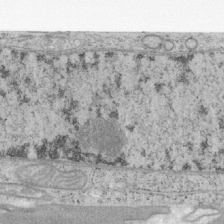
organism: Human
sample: HeLa cells